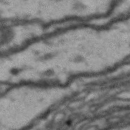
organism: Drosophila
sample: Brain